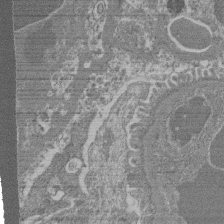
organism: Mouse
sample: Glomerulus